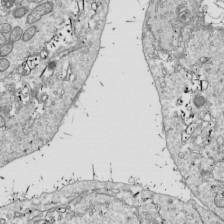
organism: Drosophila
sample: Cell division; meiosis; drosophila spermatocytes